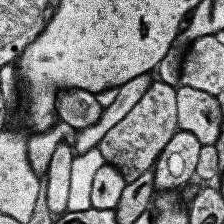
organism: Human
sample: Temporal Lobe